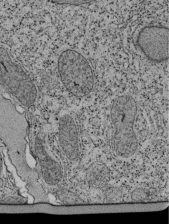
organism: Tetrahymena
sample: Cilia in tetrahymena